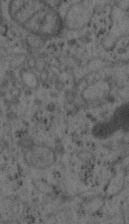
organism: Human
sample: HeLa cells